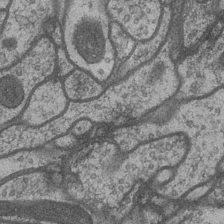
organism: Drosophila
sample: Optic medulla